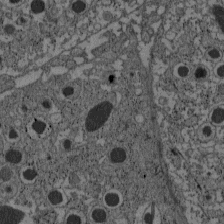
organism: C57BL Mouse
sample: Pancreatic islet